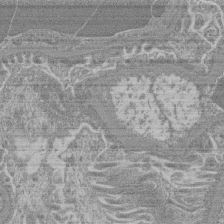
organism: Mouse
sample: Glomerulus